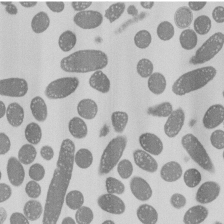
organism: E. coli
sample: Bacterial nucleoid